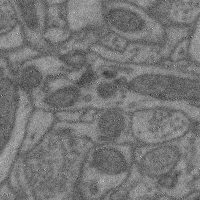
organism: Mouse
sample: Cerebral cortex